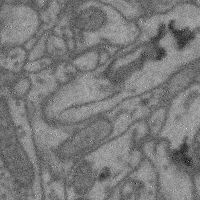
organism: Mouse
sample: Cerebral cortex